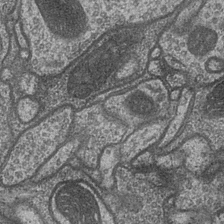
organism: Drosophila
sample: Optic medulla